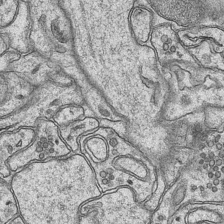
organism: Mouse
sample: CA1 Hippocampus